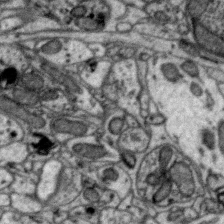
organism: Zebra finch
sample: Brain